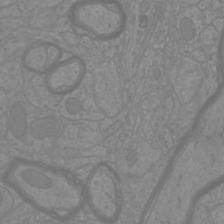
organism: Mouse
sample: Cortical neurons